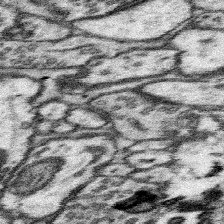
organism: Mouse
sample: Somatosensory cortex neuropil